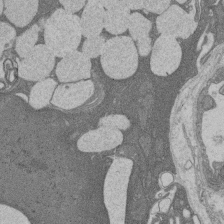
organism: Rat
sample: Salivary granule